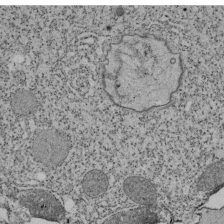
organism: Tetrahymena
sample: Cilia in tetrahymena